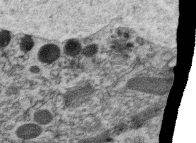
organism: C. elegans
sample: C. elegans oocyte; sperm cells